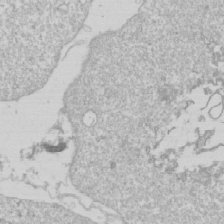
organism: Drosophila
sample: Cell division; meiosis; drosophila spermatocytes